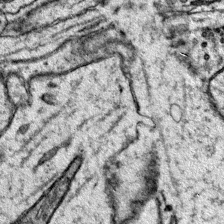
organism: Mouse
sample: Primary visual cortex